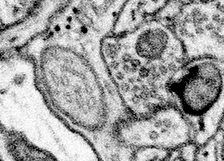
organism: Mouse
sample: Somatosensory cortex neuropil